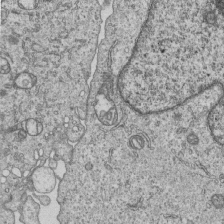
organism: Human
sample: MDA-MB-231 cells